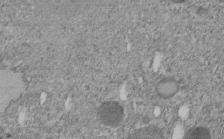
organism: C. elegans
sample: C. elegans embryo early stage